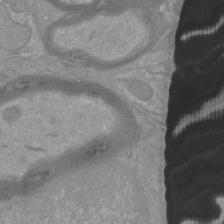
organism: Mouse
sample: Cortical neurons